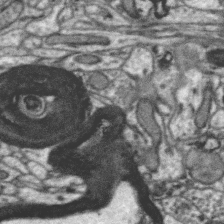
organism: Zebra finch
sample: Brain